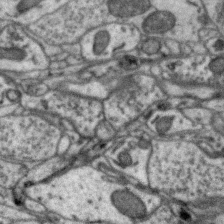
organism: Zebra finch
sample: Brain